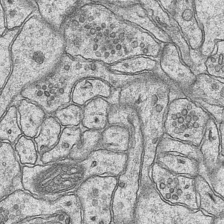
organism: Mouse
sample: CA1 Hippocampus